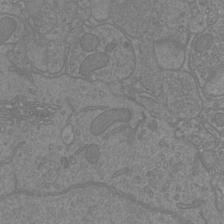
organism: Mouse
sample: Cortical neurons